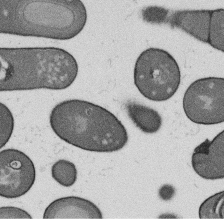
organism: B. subtilis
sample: Bacterial spore